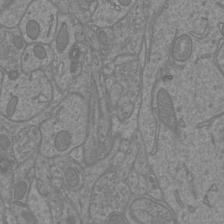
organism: Mouse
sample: Cortical neurons